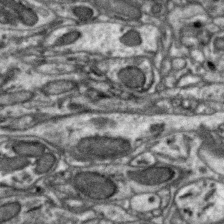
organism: Zebra finch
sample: Brain